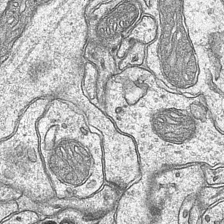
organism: Mouse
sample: CA1 Hippocampus